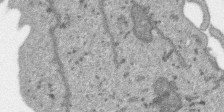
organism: Human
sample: Lung epithelial cells infected with SARS-CoV-2